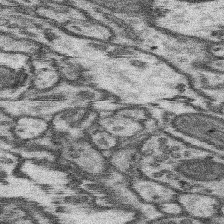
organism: Mouse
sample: Somatosensory cortex neuropil